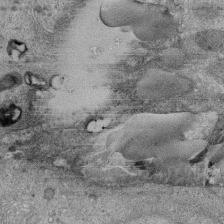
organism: Human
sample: Retinal organoid Rod and Cone cells